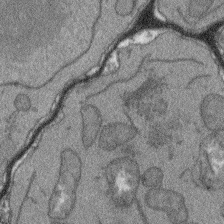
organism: Arabidopsis thaliana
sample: Root tip